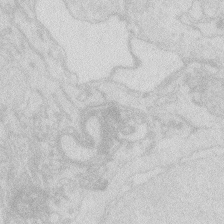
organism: Zebrafish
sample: Macrophage